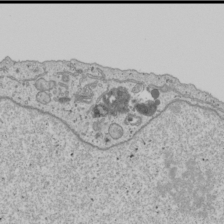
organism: Human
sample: Mitochondria in U2OS cells